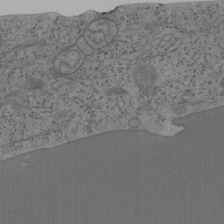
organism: Human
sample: HeLa cells